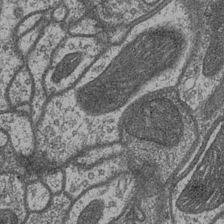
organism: Drosophila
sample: Optic medulla